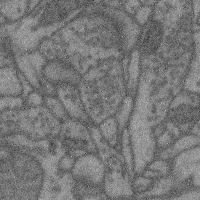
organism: Mouse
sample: Cerebral cortex